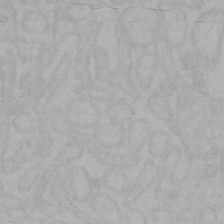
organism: Mouse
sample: Choroid plexus